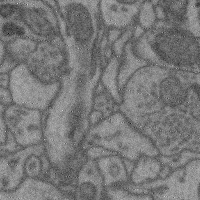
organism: Mouse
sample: Cerebral cortex